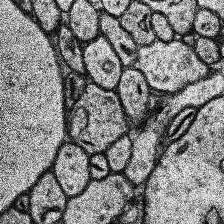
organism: Human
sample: Temporal Lobe